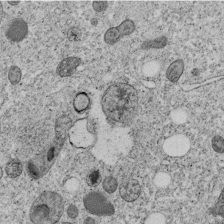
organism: C. elegans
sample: C. elegans embryo early stage